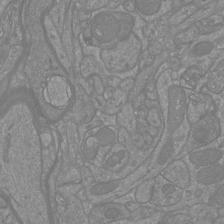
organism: Mouse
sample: Cortical neurons